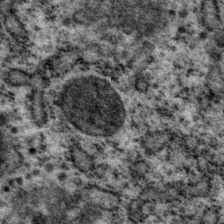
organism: P. pacificus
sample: Pharynx